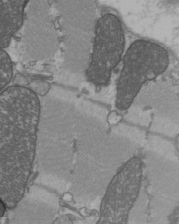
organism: C57BL Mouse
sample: Heart